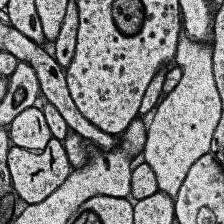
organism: Human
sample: Temporal Lobe